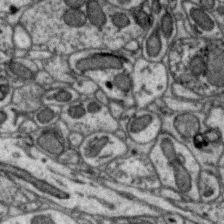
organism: Zebra finch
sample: Brain